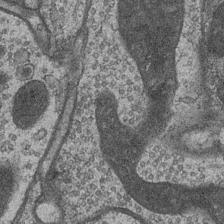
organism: Drosophila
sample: Optic medulla